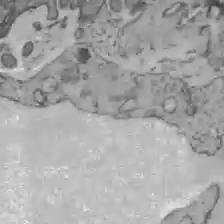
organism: C57BL Mouse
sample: Liver